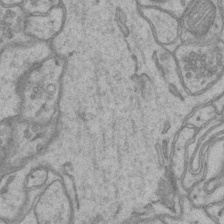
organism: Mouse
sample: CA1 Hippocampus